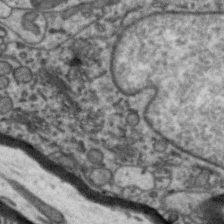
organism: Zebra finch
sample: Brain